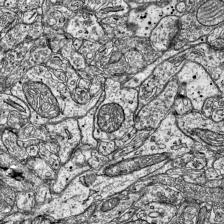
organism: Mouse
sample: Visual Cortex